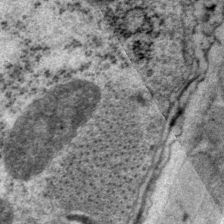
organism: P. pacificus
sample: Pharynx